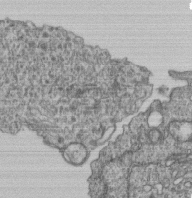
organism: Human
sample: Retinal organoid Rod and Cone cells